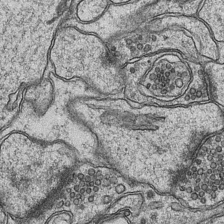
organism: Mouse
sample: CA1 Hippocampus